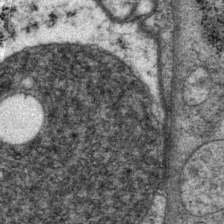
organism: P. pacificus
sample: Pharynx